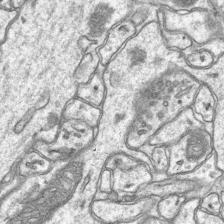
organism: Mouse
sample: CA1 Hippocampus